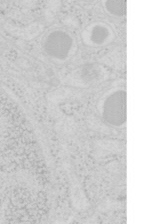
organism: Mouse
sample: Pancreas